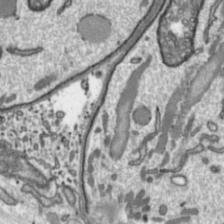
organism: Toxoplasma gondii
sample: Parasites in a vacuole inside a host cell